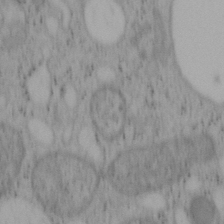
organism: Mouse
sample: OT-I killer T cells with ID8 ovarian cancer cells